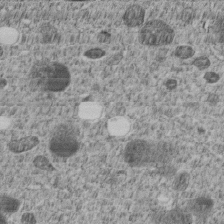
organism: C. elegans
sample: C. elegans embryo early stage